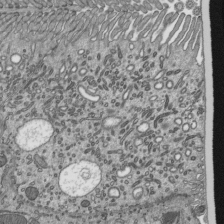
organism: Mouse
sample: Mouse epididymis efferent ductule cilia